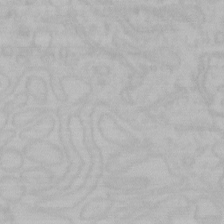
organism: Mouse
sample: Choroid plexus